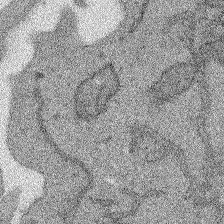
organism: Human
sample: HeLa cells